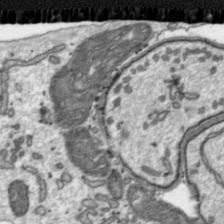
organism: Toxoplasma gondii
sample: Parasites in a vacuole inside a host cell